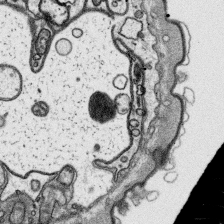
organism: Platynereis dumerilii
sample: Parapodia